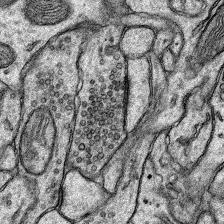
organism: Rat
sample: Hippocampus